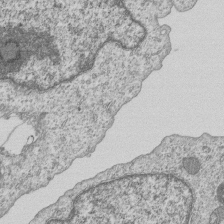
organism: Human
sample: MDA-MB-231 cells